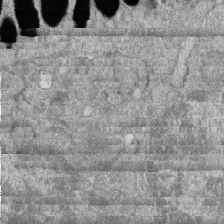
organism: Zebrafish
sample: Cilia; retinal pigment epithelium